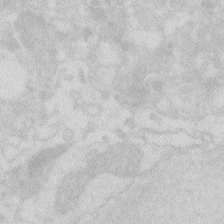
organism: Zebrafish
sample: Macrophage